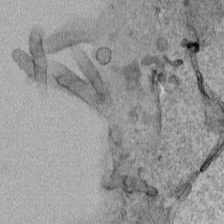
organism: Human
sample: Mitochondria in HCT116 cells